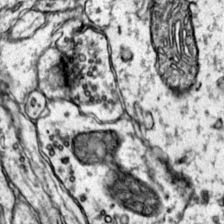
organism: Mouse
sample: Primary visual cortex